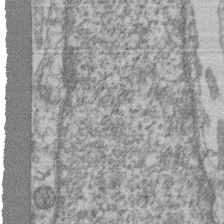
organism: Mouse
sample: T cell stromal cell synapse